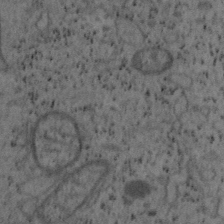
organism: Human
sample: HeLa cells